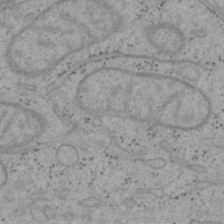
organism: Human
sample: HeLa cells